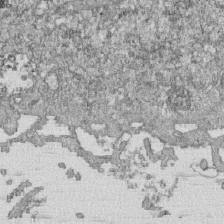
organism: Human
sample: HeLa cell HIV synapse